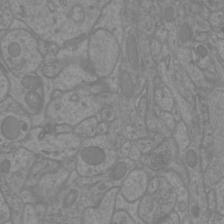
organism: Mouse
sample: Cortical neurons